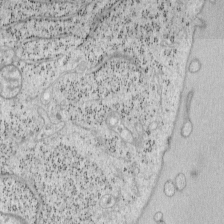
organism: Mouse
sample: OT-I killer T cells with ID8 ovarian cancer cells